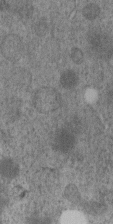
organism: C. elegans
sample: C. elegans embryo early stage